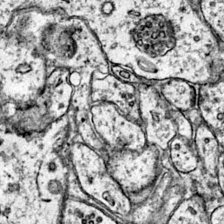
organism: Mouse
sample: Primary visual cortex